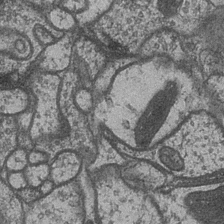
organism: Drosophila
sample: Optic medulla